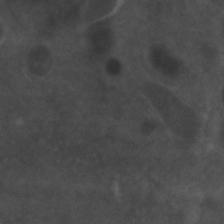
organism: Zebrafish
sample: Zebrafish embryo